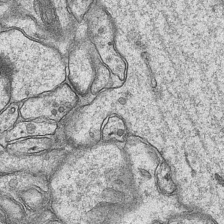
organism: Mouse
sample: CA1 Hippocampus